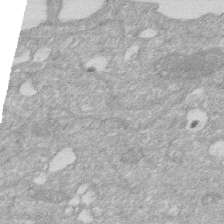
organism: Human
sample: HIV infected U937 cells